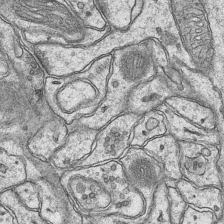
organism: Mouse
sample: CA1 Hippocampus